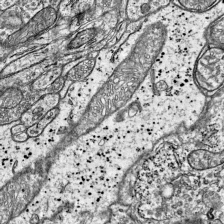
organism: Mouse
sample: Visual Cortex